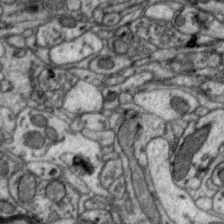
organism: Zebra finch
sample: Brain